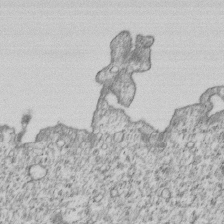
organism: Human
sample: MDA-MB-231 cells